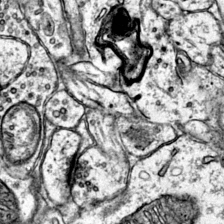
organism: Mouse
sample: Primary visual cortex